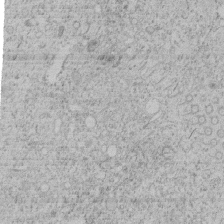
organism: Tetrahymena